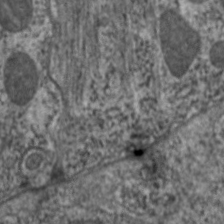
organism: C. elegans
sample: Pharynx